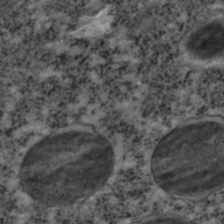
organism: C. elegans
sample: C. elegans embryo